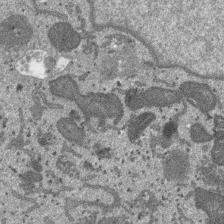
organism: Human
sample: Lung epithelial cells infected with SARS-CoV-2